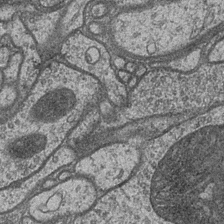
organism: Drosophila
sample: Optic medulla